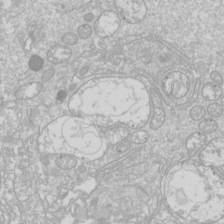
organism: Drosophila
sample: Cell division; meiosis; drosophila spermatocytes